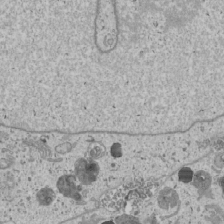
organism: Human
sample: Mitochondria in U2OS cells